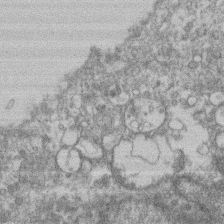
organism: Mouse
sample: T cell stromal cell synapse